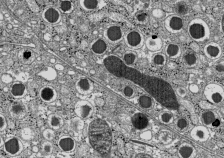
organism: C57BL Mouse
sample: Pancreatic islet